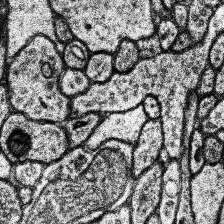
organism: Human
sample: Temporal Lobe